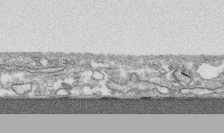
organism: Human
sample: CRL-1474